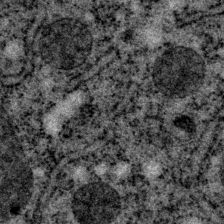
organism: P. pacificus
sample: Pharynx